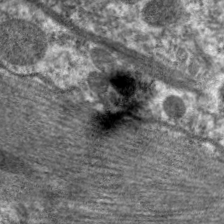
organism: C. elegans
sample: Pharynx